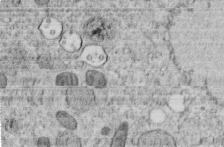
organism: C. elegans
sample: C. elegans embryo early stage